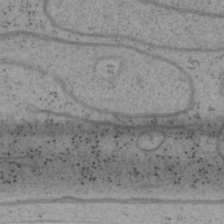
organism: Human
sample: HeLa cells